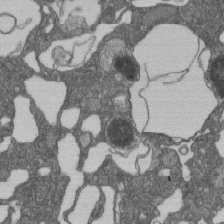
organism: Drosophila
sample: Nephrocyte